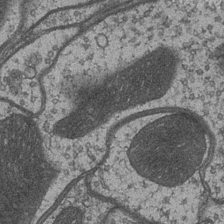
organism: Drosophila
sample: Optic medulla